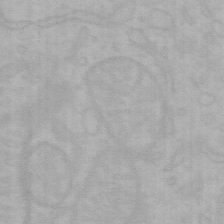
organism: Mouse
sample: Choroid plexus